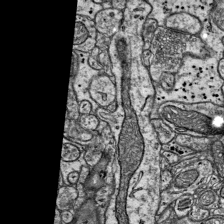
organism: Mouse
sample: Visual Cortex